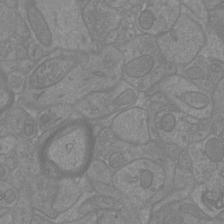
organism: Mouse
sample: Cortical neurons